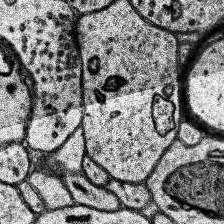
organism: Human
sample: Temporal Lobe